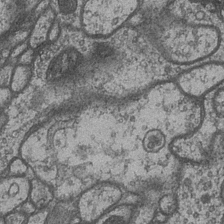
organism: Drosophila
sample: Optic medulla